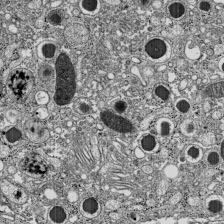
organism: C57BL Mouse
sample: Pancreatic islet